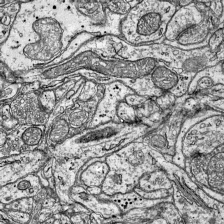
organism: Mouse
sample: Visual Cortex